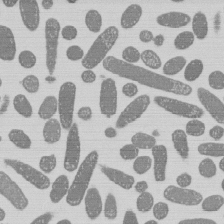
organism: E. coli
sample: Bacterial nucleoid